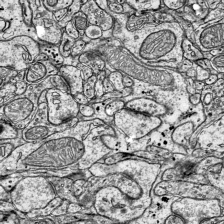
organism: Mouse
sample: Visual Cortex